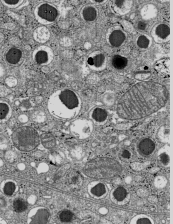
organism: C57BL Mouse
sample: Pancreatic islet